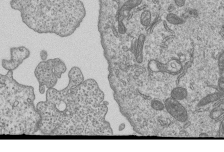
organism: Human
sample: MDA-MB-231 cells